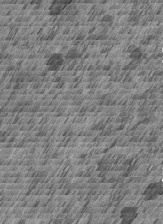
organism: C. elegans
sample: C. elegans embryo early stage